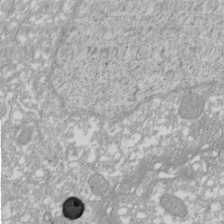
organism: Xenopus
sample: Cilia; centrioles in frog embryo cells